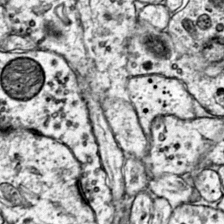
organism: Mouse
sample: Primary visual cortex